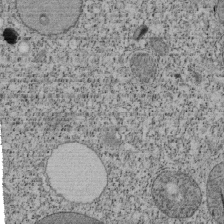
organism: Tetrahymena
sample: Cilia in tetrahymena